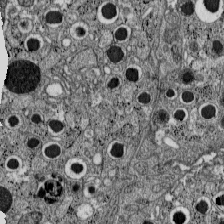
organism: C57BL Mouse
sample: Pancreatic islet